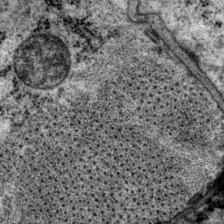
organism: P. pacificus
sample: Pharynx